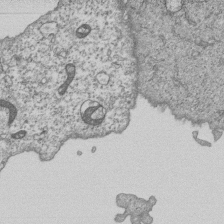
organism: Human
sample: MDA-MB-231 cells